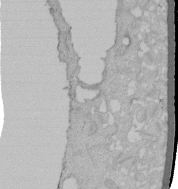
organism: Human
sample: Melanocyte Keratinocyte synapse skin construct